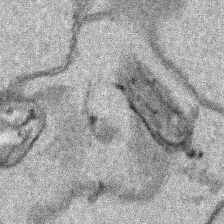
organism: Human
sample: Mitochondria in HCT116 cells